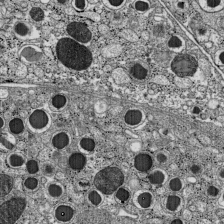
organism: C57BL Mouse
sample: Pancreatic islet